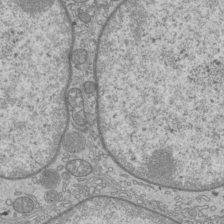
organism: Mouse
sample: Cilia; mouse epididymis